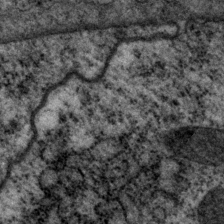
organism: P. pacificus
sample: Pharynx